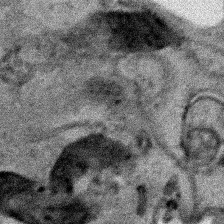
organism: Human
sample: Mitochondria in HCT116 cells